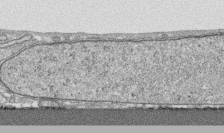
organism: Human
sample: CRL-1474